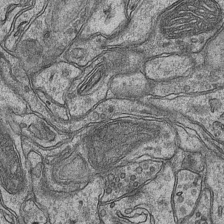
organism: Mouse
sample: CA1 Hippocampus